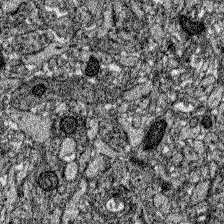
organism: Zebrafish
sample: Larval olfactory bulb